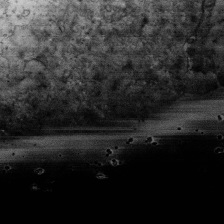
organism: Human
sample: Activated Jurkat CD4+ T cells